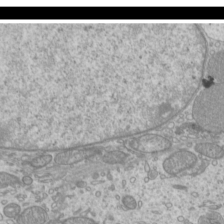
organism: Mouse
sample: Cilia; mouse epididymis